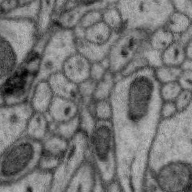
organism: Zebra finch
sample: Brain